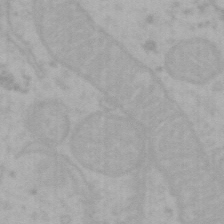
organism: Mouse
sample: Choroid plexus